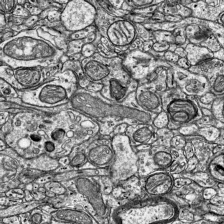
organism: Mouse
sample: Visual Cortex